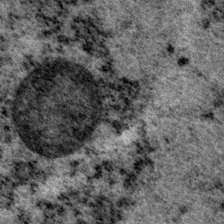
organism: P. pacificus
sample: Pharynx